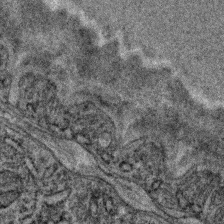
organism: C. elegans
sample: C. elegans embryo